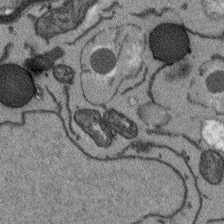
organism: Arabidopsis thaliana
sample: Root tip